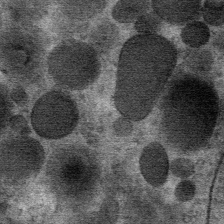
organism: Mouse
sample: Mouse Salivary gland